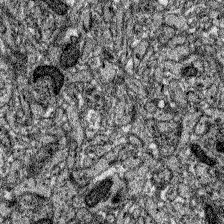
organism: Zebrafish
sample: Larval olfactory bulb